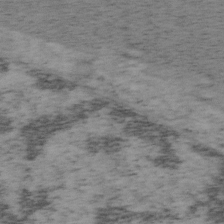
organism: Mouse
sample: OT-I killer T cells with ID8 ovarian cancer cells